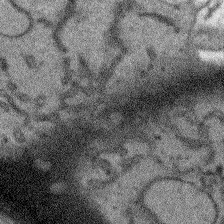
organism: Arabidopsis thaliana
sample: Root tip